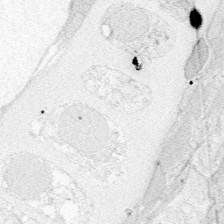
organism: Zebrafish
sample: Whole-Brain